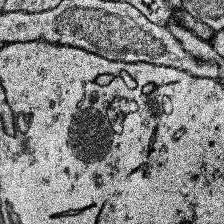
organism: Human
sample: Temporal Lobe